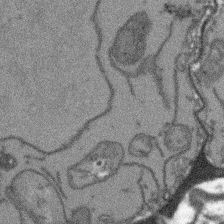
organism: Arabidopsis thaliana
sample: Root tip